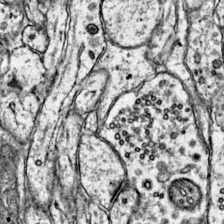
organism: Mouse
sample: Primary visual cortex